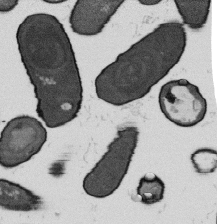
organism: B. subtilis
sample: Bacterial spore